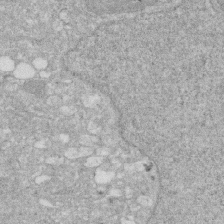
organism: Human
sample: HIV infected U937 cells